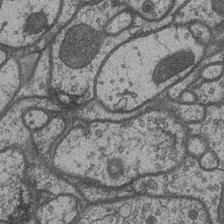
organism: Drosophila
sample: Optic medulla